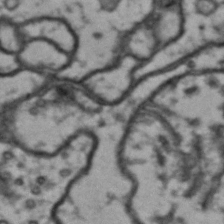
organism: Drosophila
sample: Brain